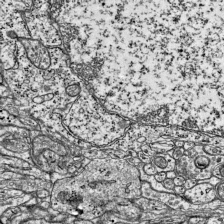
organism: Mouse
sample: Visual Cortex